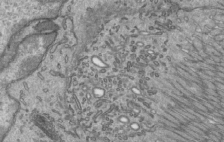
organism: Mouse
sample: Mouse epididymis efferent ductule cilia